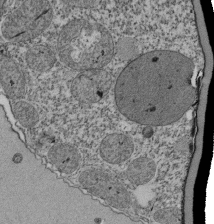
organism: Tetrahymena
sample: Cilia in tetrahymena